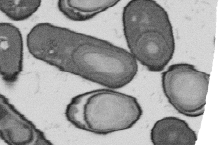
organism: B. subtilis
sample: Bacterial spore